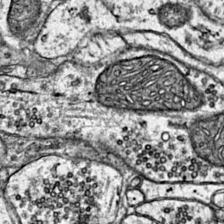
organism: Mouse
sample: Primary visual cortex